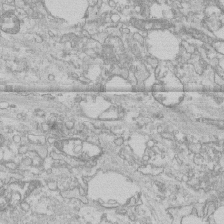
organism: Human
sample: CRL-1474